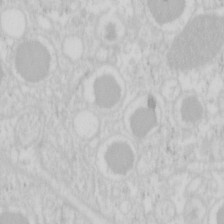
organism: Mouse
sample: Pancreas